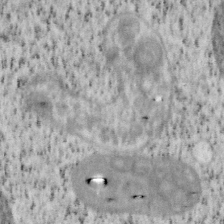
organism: Mouse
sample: OT-I killer T cells with ID8 ovarian cancer cells